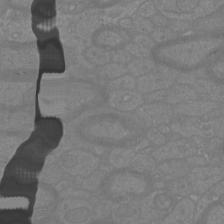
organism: Mouse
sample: Cortical neurons